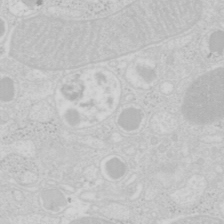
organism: Mouse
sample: Pancreas